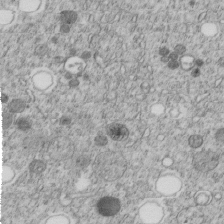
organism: C. elegans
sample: C. elegans embryo early stage